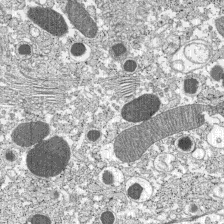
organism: C57BL Mouse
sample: Pancreatic islet